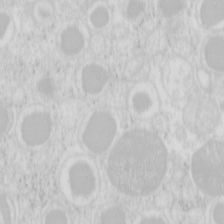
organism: Mouse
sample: Pancreas